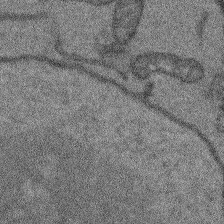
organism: Arabidopsis thaliana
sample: Root tip